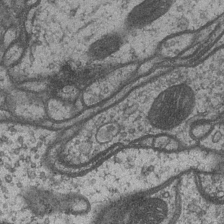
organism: Drosophila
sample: Optic medulla